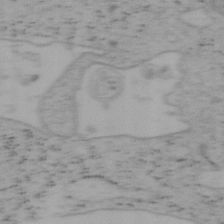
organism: Mouse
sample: OT-I killer T cells with ID8 ovarian cancer cells